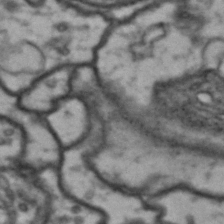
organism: Drosophila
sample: Brain